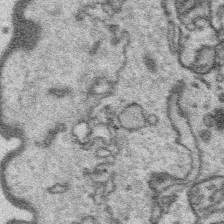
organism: Platynereis dumerilii